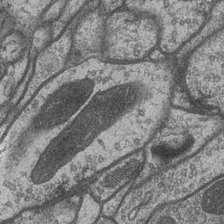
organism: Drosophila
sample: Optic medulla